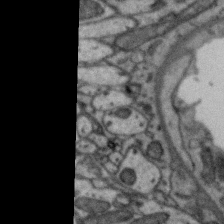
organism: Zebra finch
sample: Brain